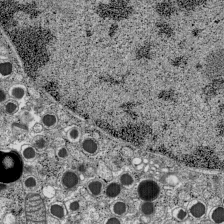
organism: C57BL Mouse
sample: Pancreatic islet